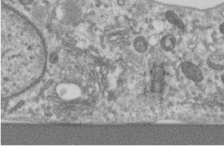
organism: Human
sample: Centriole in RPE cells